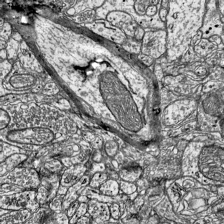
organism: Mouse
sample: Visual Cortex